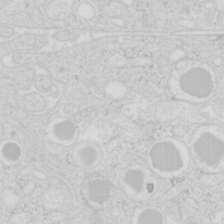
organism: Mouse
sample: Pancreas